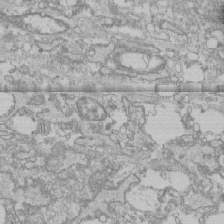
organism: Human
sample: CRL-1474